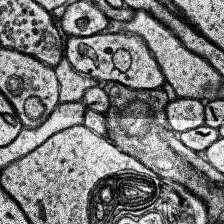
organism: Human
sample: Temporal Lobe